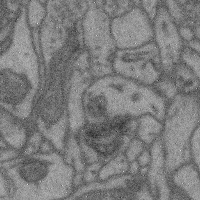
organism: Mouse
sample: Cerebral cortex